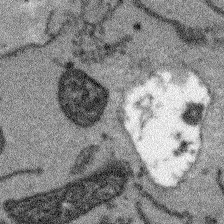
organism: Arabidopsis thaliana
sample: Root tip